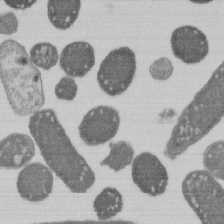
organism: E. coli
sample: Bacterial nucleoid